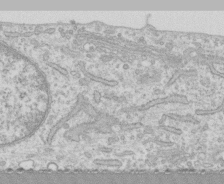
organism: Human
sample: CRL-1474